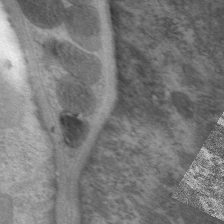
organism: C. elegans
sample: Pharynx